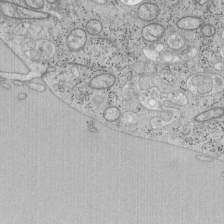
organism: Mouse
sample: OT-I killer T cells with ID8 ovarian cancer cells